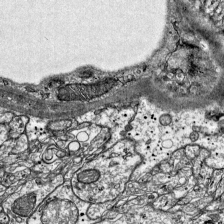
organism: Mouse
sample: Visual Cortex